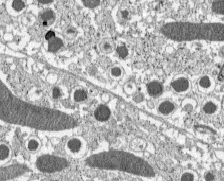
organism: C57BL Mouse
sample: Pancreatic islet